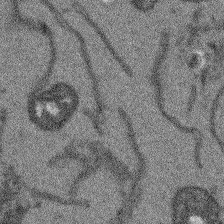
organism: Arabidopsis thaliana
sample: Root tip